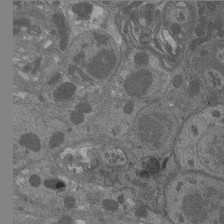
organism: Drosophila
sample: Antenna